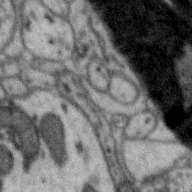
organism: Zebra finch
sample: Brain